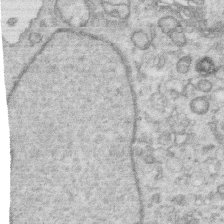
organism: Human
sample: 1205lu cells